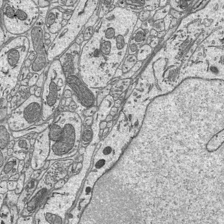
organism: Mouse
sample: Suprachiasmatic nucleus